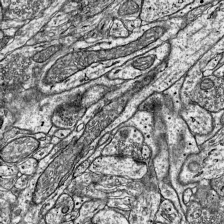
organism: Mouse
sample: Visual Cortex